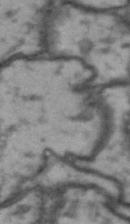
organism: Drosophila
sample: Brain